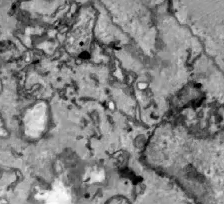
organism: Zebrafish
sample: Actinotrichia fibers